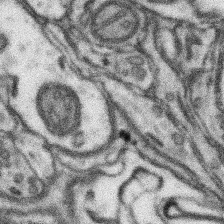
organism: Mouse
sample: Somatosensory cortex neuropil